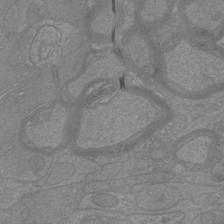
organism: Mouse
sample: Cortical neurons